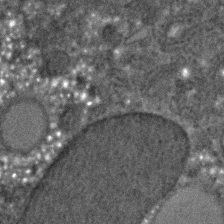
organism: C. elegans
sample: C. elegans embryo